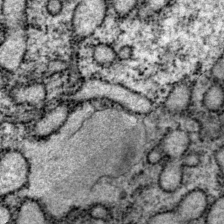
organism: P. pacificus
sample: Pharynx